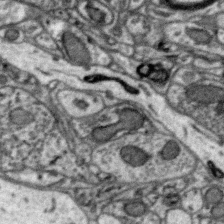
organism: Zebra finch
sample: Brain